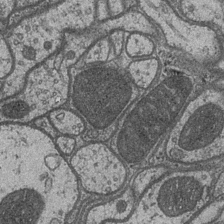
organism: Drosophila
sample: Optic medulla